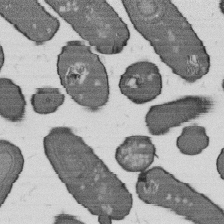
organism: B. subtilis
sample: Bacterial spore